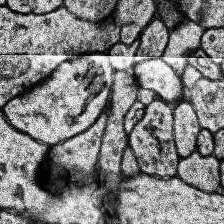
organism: Human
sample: Temporal Lobe